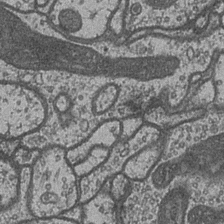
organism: Drosophila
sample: Optic medulla